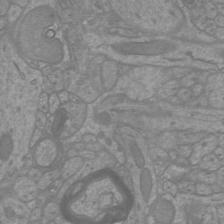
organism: Mouse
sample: Cortical neurons